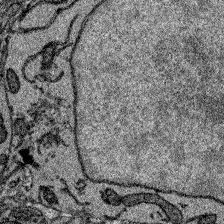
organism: Zebrafish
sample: Larval olfactory bulb